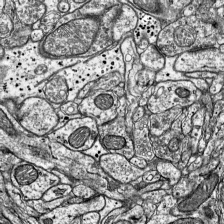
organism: Mouse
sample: Visual Cortex